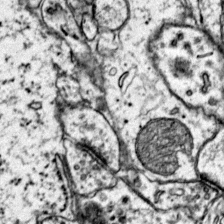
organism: Mouse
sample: Primary visual cortex